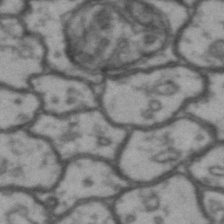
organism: Drosophila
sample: Brain